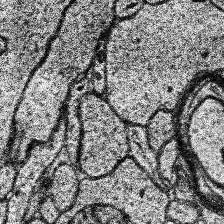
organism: Human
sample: Temporal Lobe